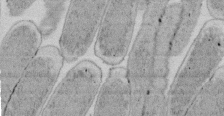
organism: E. coli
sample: Bacterial nucleoid